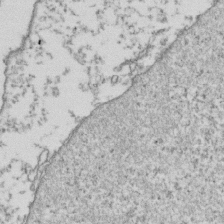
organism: Human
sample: Activated Jurkat CD4+ T cells